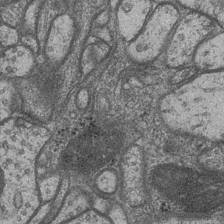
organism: Drosophila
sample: Optic medulla